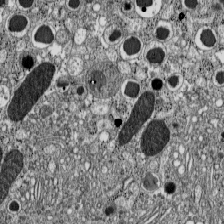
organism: C57BL Mouse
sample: Pancreatic islet